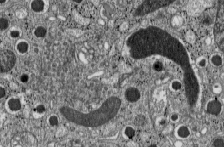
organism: C57BL Mouse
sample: Pancreatic islet